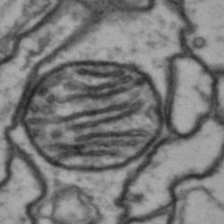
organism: Drosophila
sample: Brain